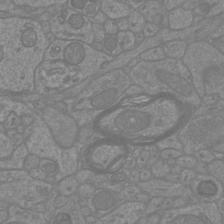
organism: Mouse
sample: Cortical neurons